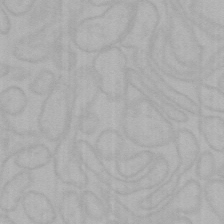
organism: Mouse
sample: Choroid plexus